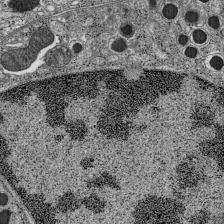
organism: C57BL Mouse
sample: Pancreatic islet